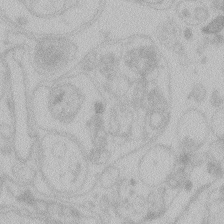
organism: Zebrafish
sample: Macrophage infected with Toxoplasma gondii